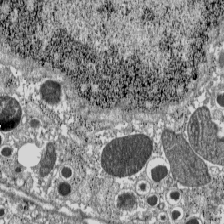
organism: C57BL Mouse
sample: Pancreatic islet